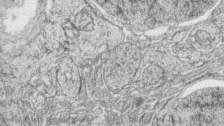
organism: Zebrafish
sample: synaptic ribbons in rod cells and cone cells